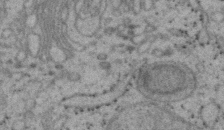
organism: Human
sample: HeLa cells